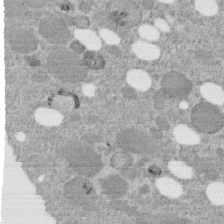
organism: C. elegans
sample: C. elegans embryo early stage